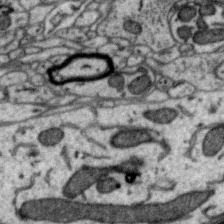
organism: Zebra finch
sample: Brain